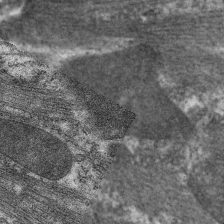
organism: C. elegans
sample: Pharynx